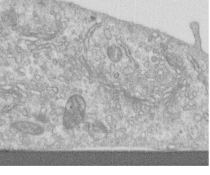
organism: Human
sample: Centriole in RPE cells